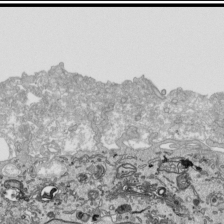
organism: Human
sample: Mitochondria in HCT116 cells